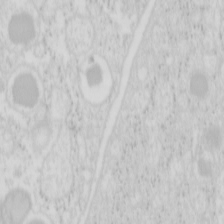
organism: Mouse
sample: Pancreas